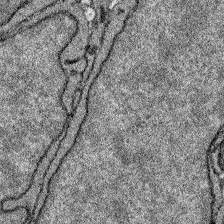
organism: Zebrafish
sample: Larval olfactory bulb